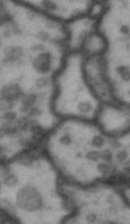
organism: Drosophila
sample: Brain